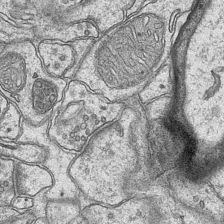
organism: Mouse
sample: CA1 Hippocampus